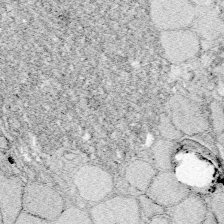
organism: Zebrafish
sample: Whole-Brain